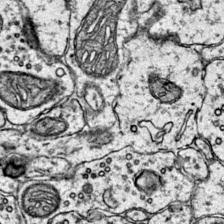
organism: Mouse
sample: Primary visual cortex